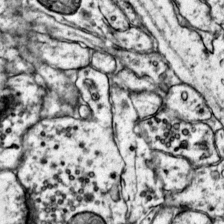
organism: Mouse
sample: Primary visual cortex